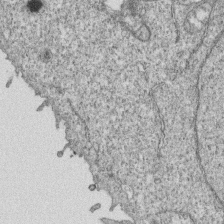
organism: Human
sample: HeLa cell HIV synapse